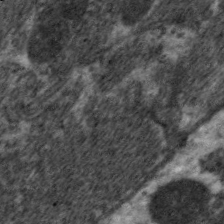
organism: C. elegans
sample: Pharynx